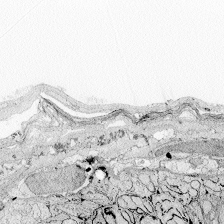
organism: Zebrafish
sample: Whole-Brain